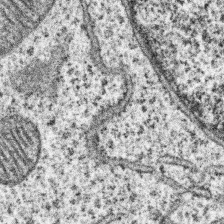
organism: Human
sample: HeLa cells